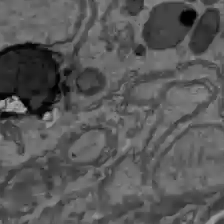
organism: C57BL Mouse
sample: Liver